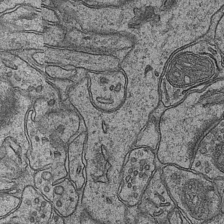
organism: Mouse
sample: CA1 Hippocampus